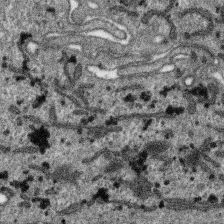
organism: Human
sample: Lung epithelial cells infected with SARS-CoV-2